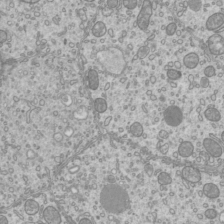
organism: Mouse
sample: Cilia; mouse epididymis